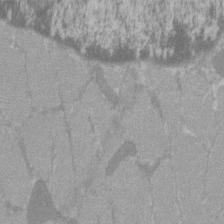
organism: C57BL Mouse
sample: Tibialis anterior muscle cell